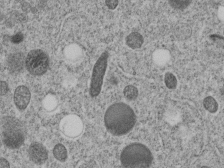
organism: C. elegans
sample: C. elegans embryo early stage